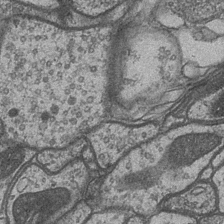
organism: Drosophila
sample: Optic medulla